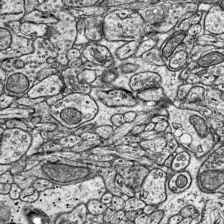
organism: Mouse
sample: Visual Cortex